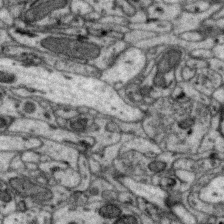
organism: Zebra finch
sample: Brain